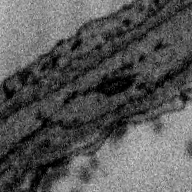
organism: Zebra finch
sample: Brain